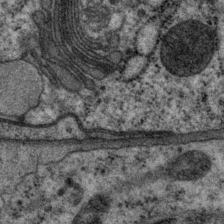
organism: P. pacificus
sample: Pharynx